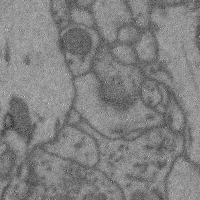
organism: Mouse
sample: Cerebral cortex